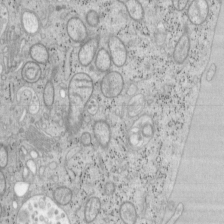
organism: Mouse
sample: OT-I killer T cells with ID8 ovarian cancer cells